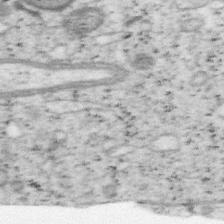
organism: Mouse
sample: OT-I killer T cells with ID8 ovarian cancer cells